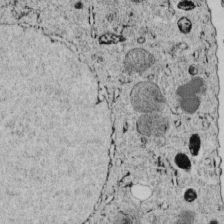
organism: C. elegans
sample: C. elegans embryo early stage